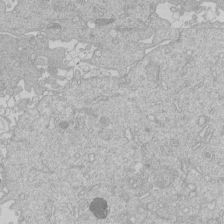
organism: Human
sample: Macrophage cells